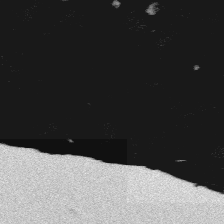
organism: Platynereis dumerilii